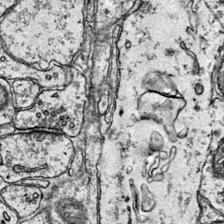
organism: Mouse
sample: Primary visual cortex